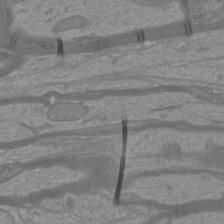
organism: Mouse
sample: Cortical neurons